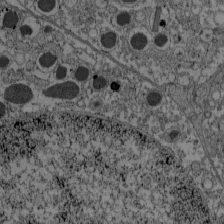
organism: C57BL Mouse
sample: Pancreatic islet